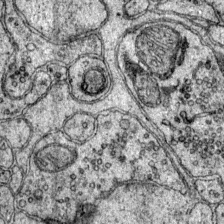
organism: Mouse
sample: Primary visual cortex